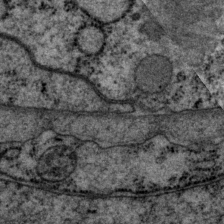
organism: P. pacificus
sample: Pharynx